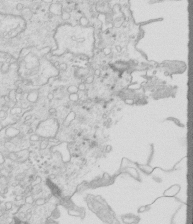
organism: Mouse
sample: Multiciliated cells